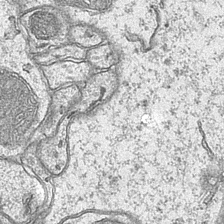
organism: Mouse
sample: CA1 Hippocampus